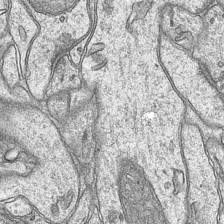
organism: Mouse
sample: CA1 Hippocampus